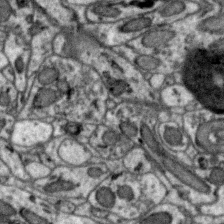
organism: Zebra finch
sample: Brain